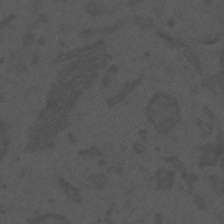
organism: Mouse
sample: Suprachiasmatic nucleus